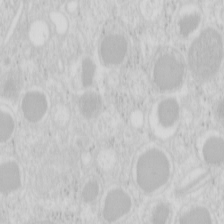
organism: Mouse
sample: Pancreas